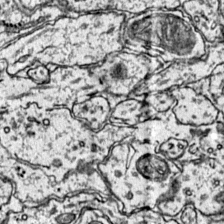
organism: Mouse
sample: Primary visual cortex